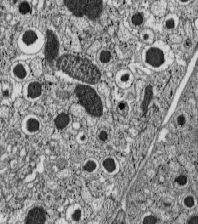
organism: C57BL Mouse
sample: Pancreatic islet